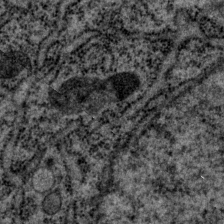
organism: P. pacificus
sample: Pharynx